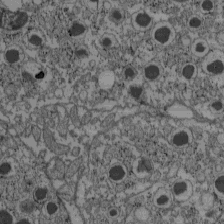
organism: C57BL Mouse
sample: Pancreatic islet